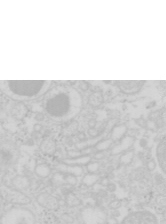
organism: Mouse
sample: Pancreas